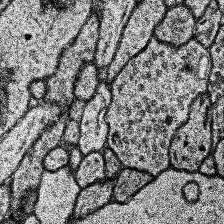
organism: Human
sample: Temporal Lobe